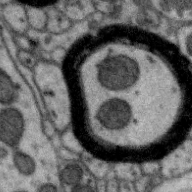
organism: Zebra finch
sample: Brain